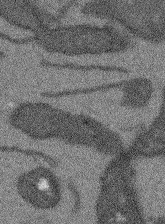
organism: Arabidopsis thaliana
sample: Root tip